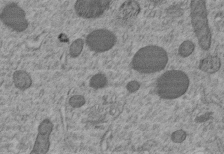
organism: C. elegans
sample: C. elegans embryo early stage